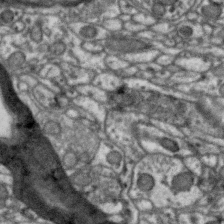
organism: Zebra finch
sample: Brain